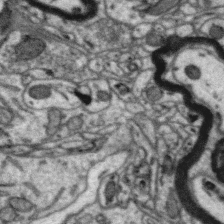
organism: Zebra finch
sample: Brain